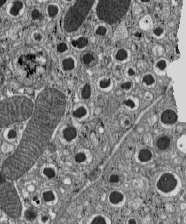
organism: C57BL Mouse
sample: Pancreatic islet